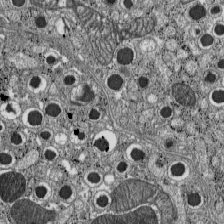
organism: C57BL Mouse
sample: Pancreatic islet